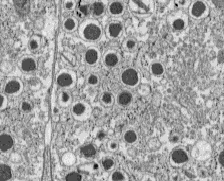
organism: C57BL Mouse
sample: Pancreatic islet